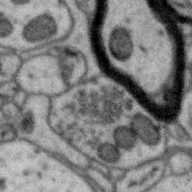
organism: Zebra finch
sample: Brain